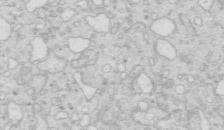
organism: Mouse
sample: Multiciliated cells